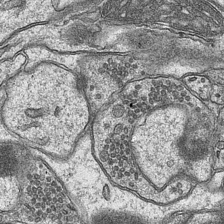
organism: Mouse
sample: CA1 Hippocampus